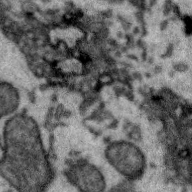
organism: Zebra finch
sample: Brain